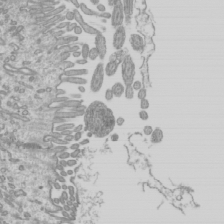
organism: Mouse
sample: Cilia; mouse epididymis